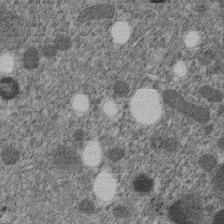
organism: C. elegans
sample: C. elegans embryo early stage